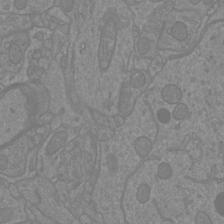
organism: Mouse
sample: Cortical neurons